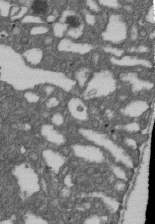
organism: Drosophila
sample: Nephrocyte